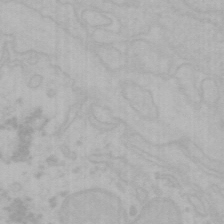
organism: Mouse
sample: Choroid plexus